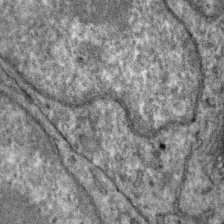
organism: Zebra finch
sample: Brain